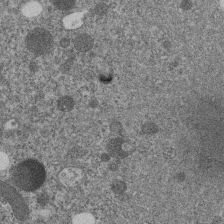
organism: C. elegans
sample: C. elegans embryo early stage